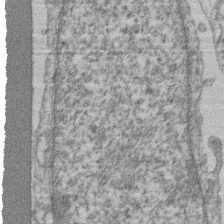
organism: Mouse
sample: T cell stromal cell synapse